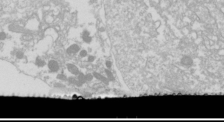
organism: Drosophila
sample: Cell division; meiosis; drosophila spermatocytes